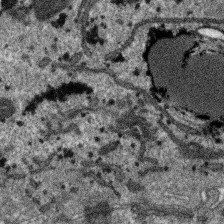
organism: Human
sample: Lung epithelial cells infected with SARS-CoV-2